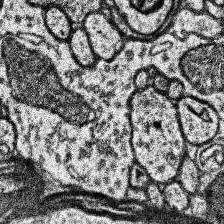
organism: Human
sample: Temporal Lobe